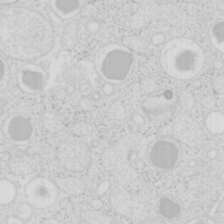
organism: Mouse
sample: Pancreas